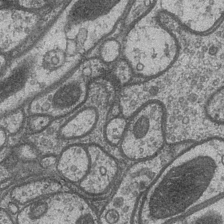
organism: Drosophila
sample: Optic medulla